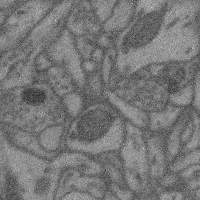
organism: Mouse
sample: Cerebral cortex